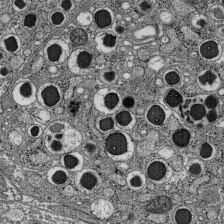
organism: C57BL Mouse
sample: Pancreatic islet